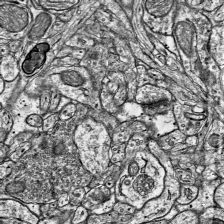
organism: Mouse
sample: Visual Cortex